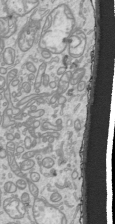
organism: Human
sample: Mitochondria in HCT116 cells